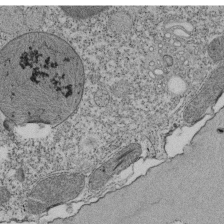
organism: Tetrahymena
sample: Cilia in tetrahymena